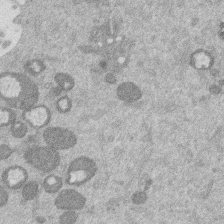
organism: Mouse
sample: Dividing mouse embryo 1 cell stage